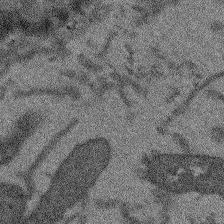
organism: Arabidopsis thaliana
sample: Root tip